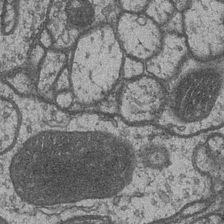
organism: Drosophila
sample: Optic medulla